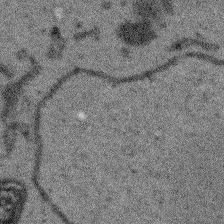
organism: Arabidopsis thaliana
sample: Root tip